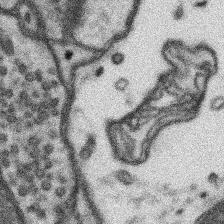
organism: Mouse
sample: Somatosensory cortex neuropil